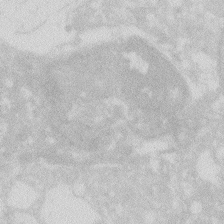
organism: Zebrafish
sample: Macrophage